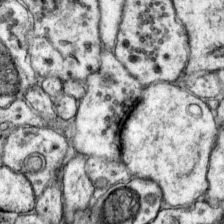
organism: Mouse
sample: Primary visual cortex